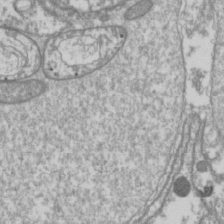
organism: Drosophila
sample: Cell division; meiosis; drosophila spermatocytes